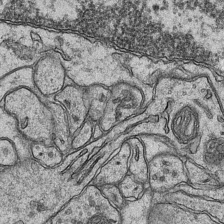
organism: Mouse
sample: CA1 Hippocampus